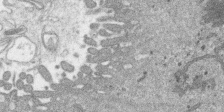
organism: Human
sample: Lung epithelial cells infected with SARS-CoV-2